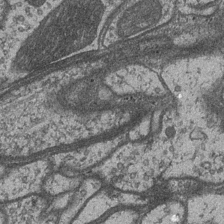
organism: Drosophila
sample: Optic medulla